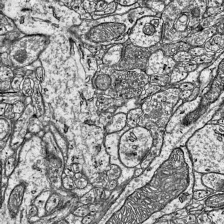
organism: Mouse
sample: Visual Cortex